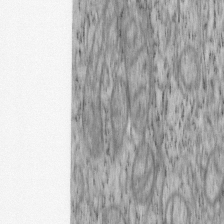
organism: Human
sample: HeLa cells